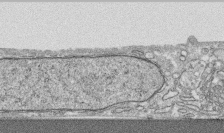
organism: Human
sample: CRL-1474